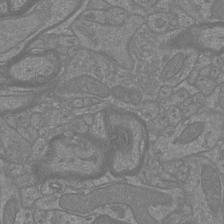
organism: Mouse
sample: Cortical neurons